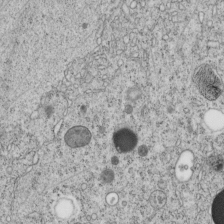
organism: C. elegans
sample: C. elegans embryo early stage